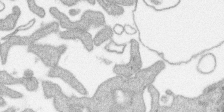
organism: Human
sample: Lung epithelial cells infected with SARS-CoV-2